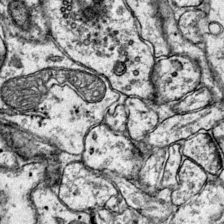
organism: Mouse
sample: Primary visual cortex